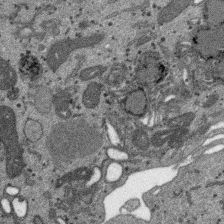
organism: Human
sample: Lung epithelial cells infected with SARS-CoV-2